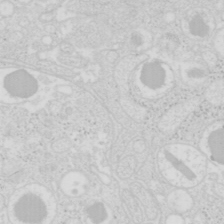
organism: Mouse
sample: Pancreas